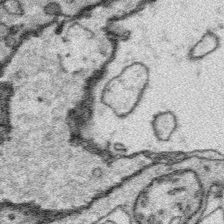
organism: Platynereis dumerilii